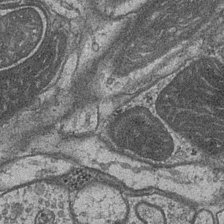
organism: Drosophila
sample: Optic medulla